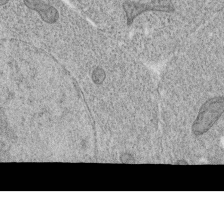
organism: C. elegans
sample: C. elegans oocyte; sperm cells